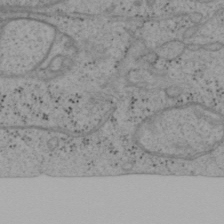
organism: Human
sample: HeLa cells